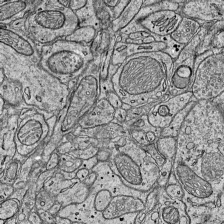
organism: Mouse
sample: Visual Cortex